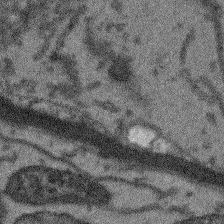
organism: Arabidopsis thaliana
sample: Root tip